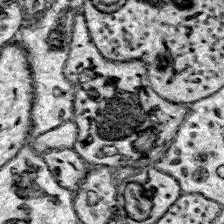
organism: Zebrafish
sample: Brain